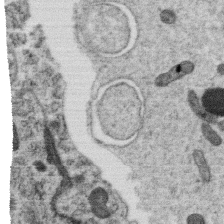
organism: C. elegans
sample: C. elegans oocyte; sperm cells